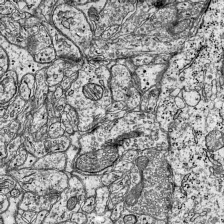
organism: Mouse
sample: Visual Cortex